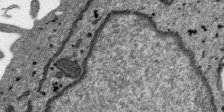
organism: Human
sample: Lung epithelial cells, uninfected (mock) control